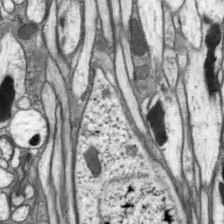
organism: Drosophila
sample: Optic lobe